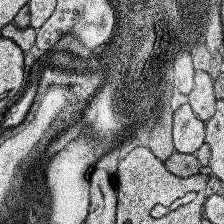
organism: Human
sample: Temporal Lobe